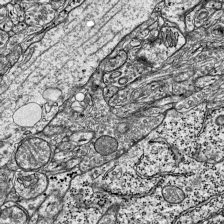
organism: Mouse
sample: Visual Cortex